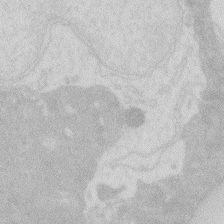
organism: Zebrafish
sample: Macrophage